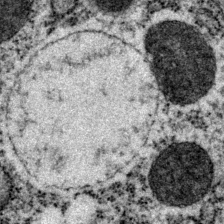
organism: P. pacificus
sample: Pharynx